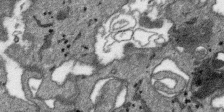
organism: Human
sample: Lung epithelial cells, uninfected (mock) control